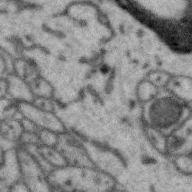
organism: Zebra finch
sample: Brain